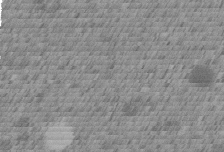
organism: C. elegans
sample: C. elegans embryo early stage